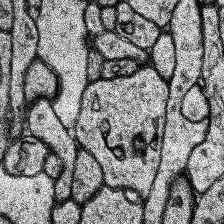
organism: Human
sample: Temporal Lobe